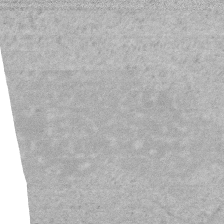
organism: Human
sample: HIV infected U937 cells